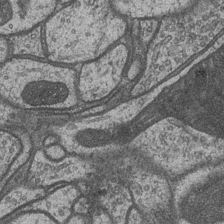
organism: Drosophila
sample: Optic medulla